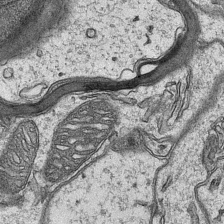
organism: Mouse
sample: CA1 Hippocampus